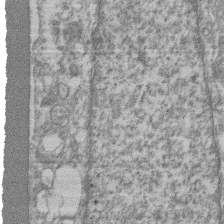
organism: Mouse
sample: T cell stromal cell synapse